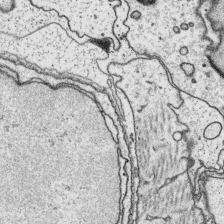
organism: Platynereis dumerilii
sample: Parapodia